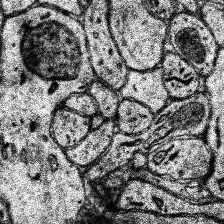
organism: Human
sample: Temporal Lobe